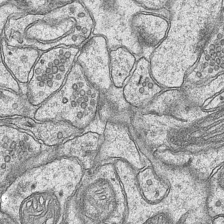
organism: Mouse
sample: CA1 Hippocampus